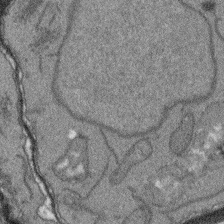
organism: Arabidopsis thaliana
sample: Root tip